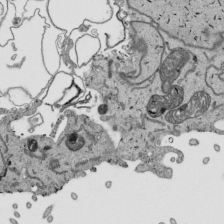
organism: Human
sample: Mitochondria in HCT116 cells